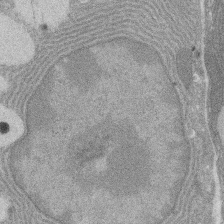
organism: Rat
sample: Salivary granule